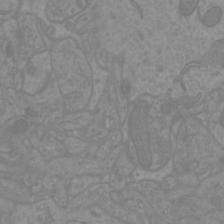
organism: Mouse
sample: Cortical neurons